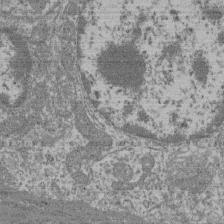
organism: Mouse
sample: Glomerulus